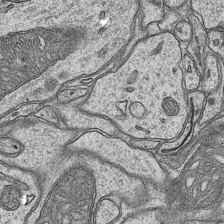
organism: Mouse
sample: CA1 Hippocampus